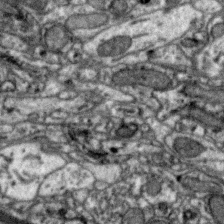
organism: Zebra finch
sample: Brain